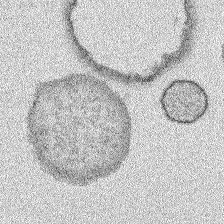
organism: Human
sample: HeLa cells